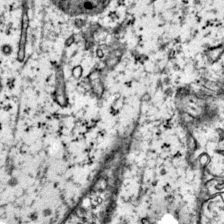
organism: Mouse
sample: Primary visual cortex